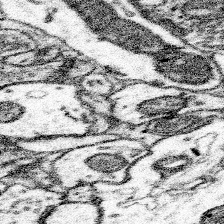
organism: Mouse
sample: Somatosensory cortex neuropil